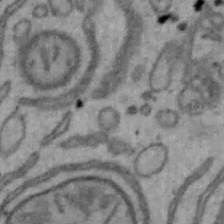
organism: Mouse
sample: Liver